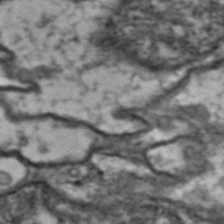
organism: Drosophila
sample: Brain